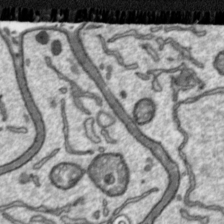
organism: Toxoplasma gondii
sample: Parasites in a vacuole inside a host cell